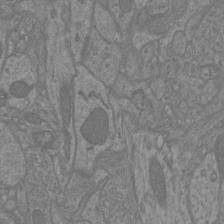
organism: Mouse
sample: Cortical neurons